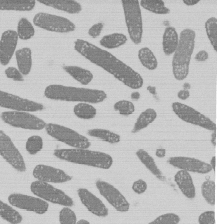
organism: E. coli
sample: Bacterial nucleoid